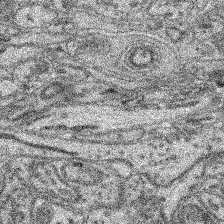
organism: Mouse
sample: Retina